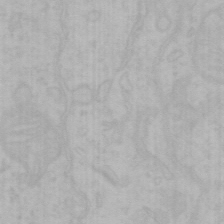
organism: Mouse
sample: Choroid plexus